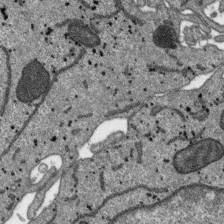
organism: Human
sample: Lung epithelial cells, uninfected (mock) control